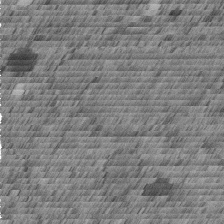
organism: C. elegans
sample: C. elegans embryo early stage